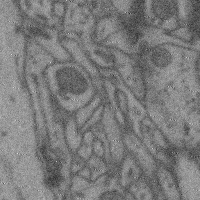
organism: Mouse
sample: Cerebral cortex